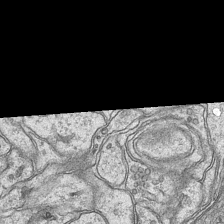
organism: Mouse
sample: CA1 Hippocampus